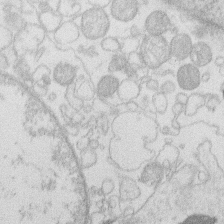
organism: Human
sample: Macrophage cells